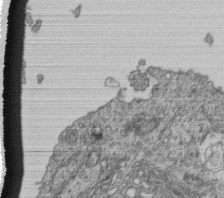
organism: Human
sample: Retinal organoid Rod and Cone cells